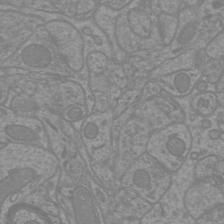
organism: Mouse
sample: Cortical neurons